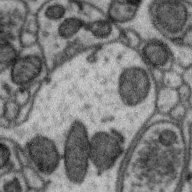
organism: Zebra finch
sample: Brain